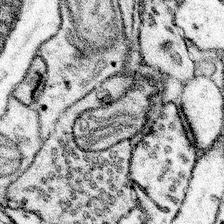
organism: Mouse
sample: Somatosensory cortex neuropil